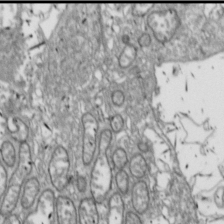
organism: Drosophila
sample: Cell division; meiosis; drosophila spermatocytes